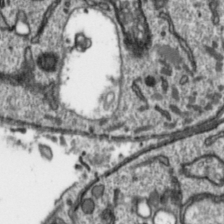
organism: Toxoplasma gondii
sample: Parasites in a vacuole inside a host cell